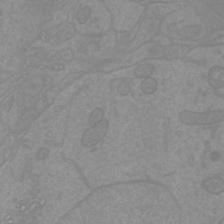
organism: Mouse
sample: Cortical neurons